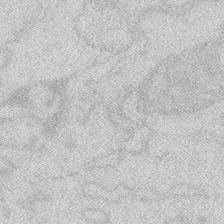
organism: Zebrafish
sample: Macrophage